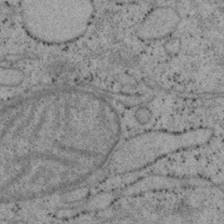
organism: Human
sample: HeLa cells